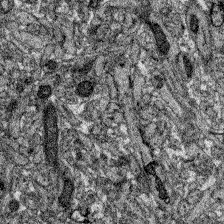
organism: Zebrafish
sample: Larval olfactory bulb